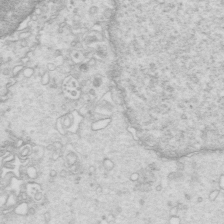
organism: Mouse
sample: Multiciliated cells